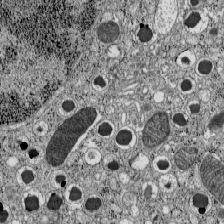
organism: C57BL Mouse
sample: Pancreatic islet